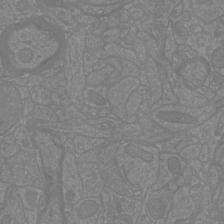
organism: Mouse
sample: Cortical neurons